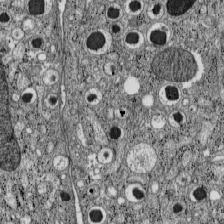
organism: C57BL Mouse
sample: Pancreatic islet